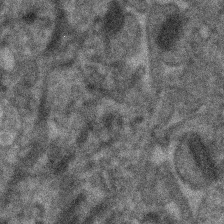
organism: Human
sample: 1205lu cells